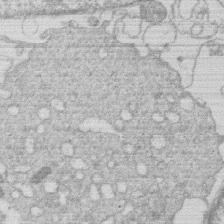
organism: Human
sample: Macrophage cells